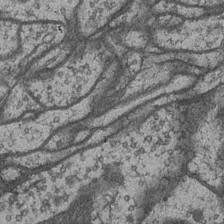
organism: Drosophila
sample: Optic medulla